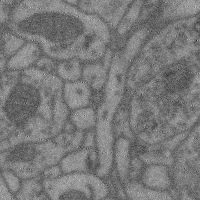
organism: Mouse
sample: Cerebral cortex